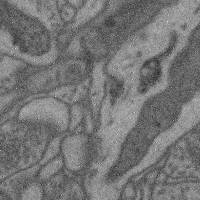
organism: Mouse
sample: Cerebral cortex